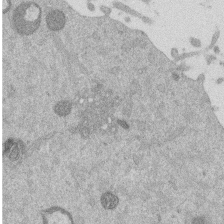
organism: Mouse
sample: Dividing mouse embryo 1 cell stage